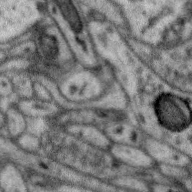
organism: Zebra finch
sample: Brain